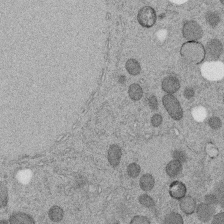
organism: C. elegans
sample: C. elegans embryo early stage